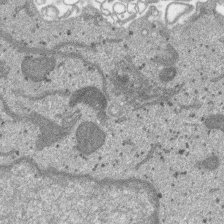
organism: Human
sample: Lung epithelial cells infected with SARS-CoV-2